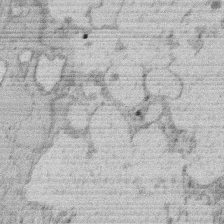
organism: Rat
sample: Salivary granule